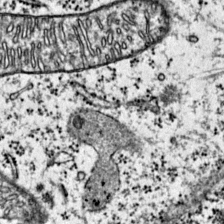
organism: Mouse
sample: Primary visual cortex